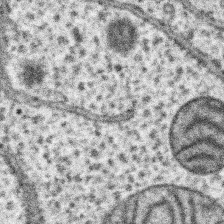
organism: Human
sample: HeLa cells